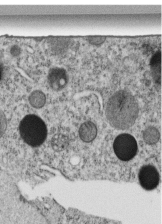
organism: C. elegans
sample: C. elegans embryo early stage